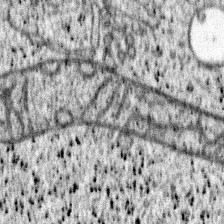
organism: Human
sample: HeLa cells